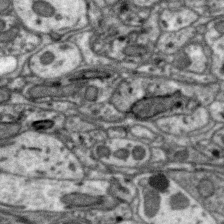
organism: Zebra finch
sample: Brain